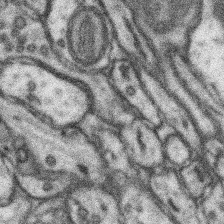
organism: Mouse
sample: Somatosensory cortex neuropil